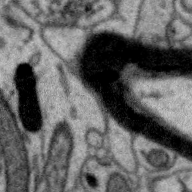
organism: Zebra finch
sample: Brain